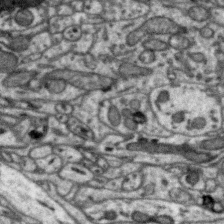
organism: Zebra finch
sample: Brain